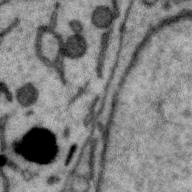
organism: Zebra finch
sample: Brain